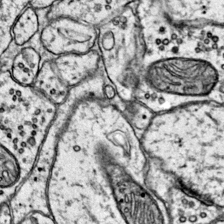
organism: Mouse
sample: Primary visual cortex